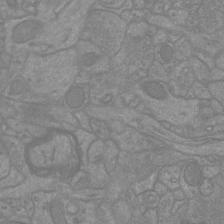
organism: Mouse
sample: Cortical neurons